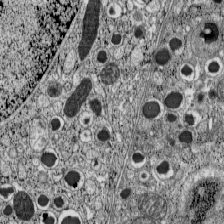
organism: C57BL Mouse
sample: Pancreatic islet